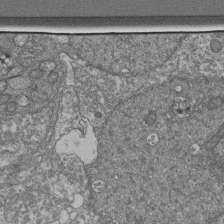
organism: Human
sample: Retinal organoid Rod and Cone cells